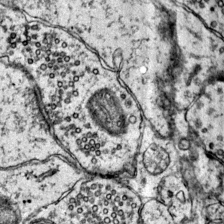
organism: Mouse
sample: Primary visual cortex